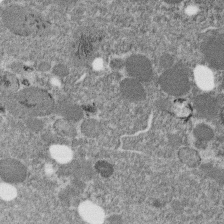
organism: C. elegans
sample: C. elegans embryo early stage